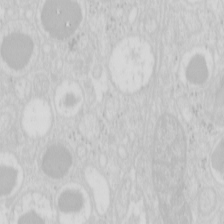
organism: Mouse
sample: Pancreas